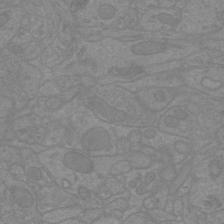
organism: Mouse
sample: Cortical neurons